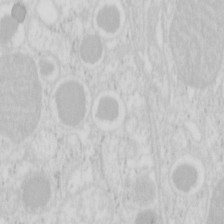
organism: Mouse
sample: Pancreas